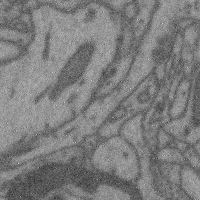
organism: Mouse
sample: Cerebral cortex